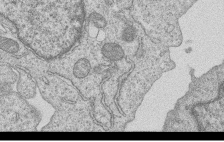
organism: Human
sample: MDA-MB-231 cells